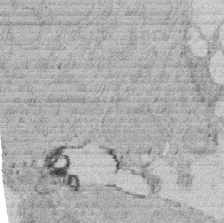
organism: Rat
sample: Salivary granule